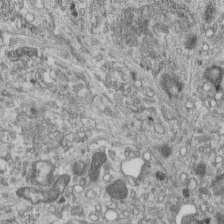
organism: Mouse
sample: Centriole in ependymal cells